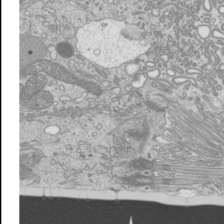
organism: Mouse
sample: Cilia; mouse epididymis